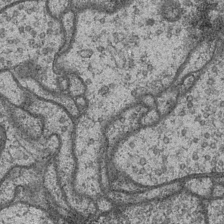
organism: Drosophila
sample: Optic medulla